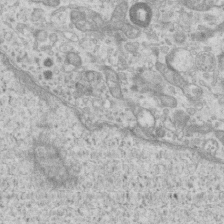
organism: Mouse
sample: Centriole in ependymal cells